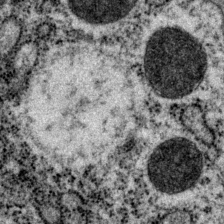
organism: P. pacificus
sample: Pharynx